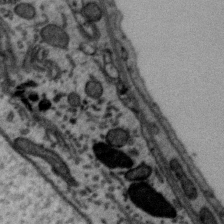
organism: Zebra finch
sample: Brain